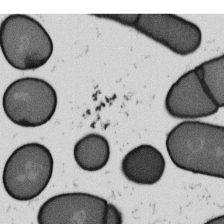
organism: B. subtilis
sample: Bacterial spore